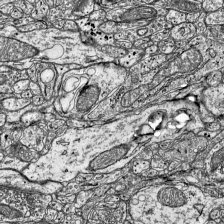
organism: Mouse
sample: Visual Cortex